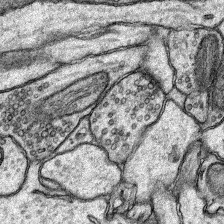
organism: Rat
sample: Hippocampus